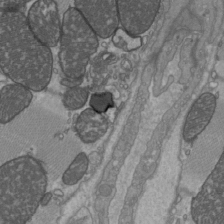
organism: C57BL Mouse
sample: Heart